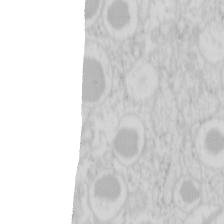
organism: Mouse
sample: Pancreas